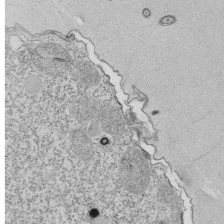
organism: Tetrahymena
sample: Cilia in tetrahymena